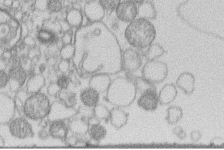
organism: Human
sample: Macrophage cells